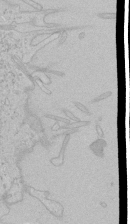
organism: Human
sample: Mitochondria in HCT116 cells